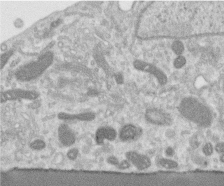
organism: Human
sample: Centriole in RPE cells